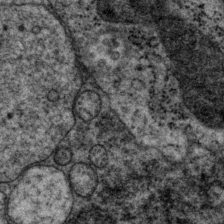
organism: P. pacificus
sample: Pharynx